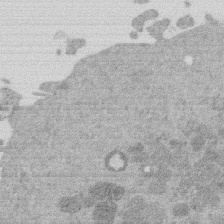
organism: Mouse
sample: Dividing mouse embryo 1 cell stage